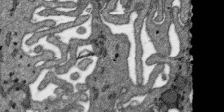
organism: Human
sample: Lung epithelial cells, uninfected (mock) control